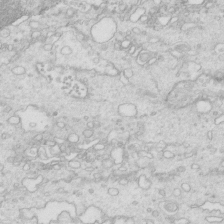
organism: Mouse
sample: Multiciliated cells